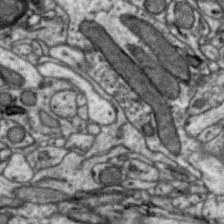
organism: Zebra finch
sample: Brain